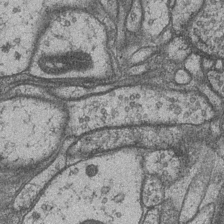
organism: Drosophila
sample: Optic medulla